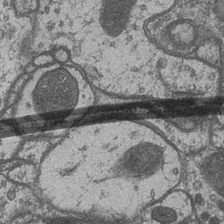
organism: Drosophila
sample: Optic medulla